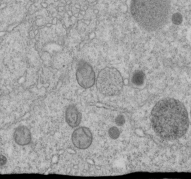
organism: C. elegans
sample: C. elegans embryo early stage